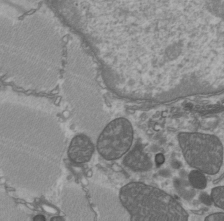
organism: C57BL Mouse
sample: Heart